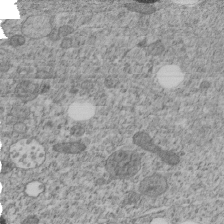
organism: C. elegans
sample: C. elegans embryo early stage